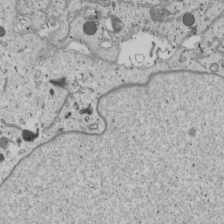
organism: Human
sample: Mitochondria in U2OS cells